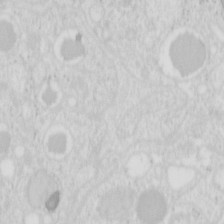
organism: Mouse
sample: Pancreas